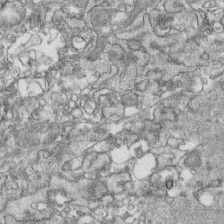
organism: Human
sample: CRL-1474